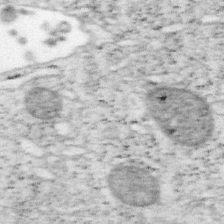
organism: Mouse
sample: OT-I killer T cells with ID8 ovarian cancer cells